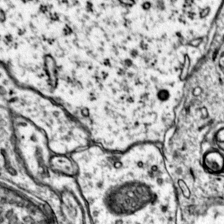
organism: Mouse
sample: Primary visual cortex